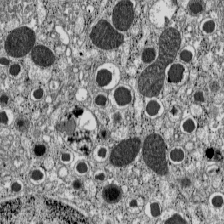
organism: C57BL Mouse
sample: Pancreatic islet